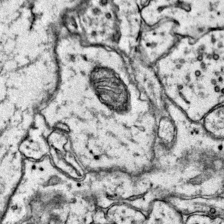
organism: Mouse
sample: Primary visual cortex